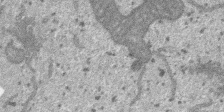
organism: Human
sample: Lung epithelial cells infected with SARS-CoV-2